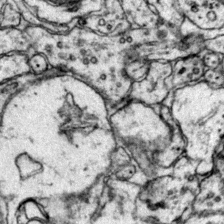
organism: Mouse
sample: Primary visual cortex